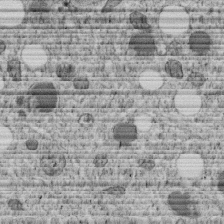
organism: C. elegans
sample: C. elegans embryo early stage